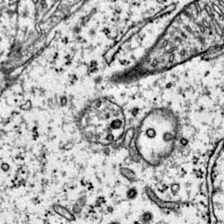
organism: Mouse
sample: Primary visual cortex